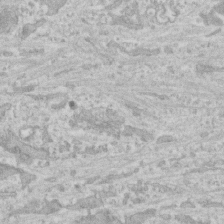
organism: Human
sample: CRL-1474